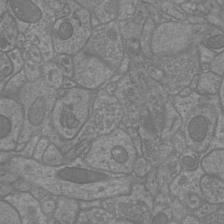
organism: Mouse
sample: Cortical neurons